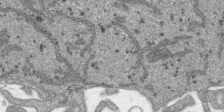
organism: Human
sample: Lung epithelial cells infected with SARS-CoV-2